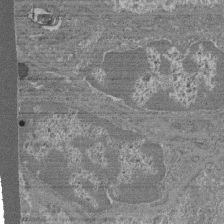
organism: Mouse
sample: Glomerulus